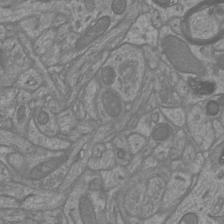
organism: Mouse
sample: Cortical neurons